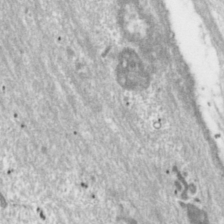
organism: Toxoplasma gondii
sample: Parasites in a vacuole inside a host cell